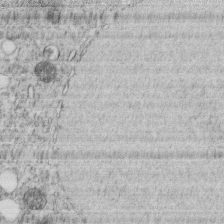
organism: C. elegans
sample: C. elegans embryo early stage